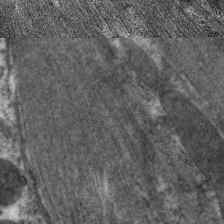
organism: C. elegans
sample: Pharynx